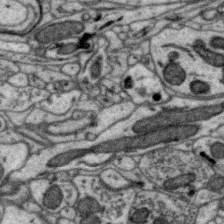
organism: Zebra finch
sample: Brain